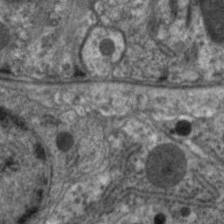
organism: C. elegans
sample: Pharynx